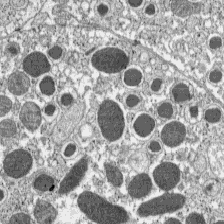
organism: C57BL Mouse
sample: Pancreatic islet